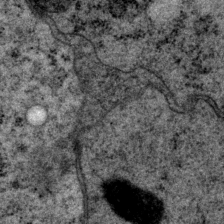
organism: P. pacificus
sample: Pharynx